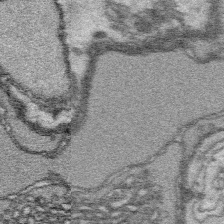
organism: Platynereis dumerilii